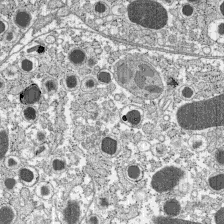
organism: C57BL Mouse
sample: Pancreatic islet